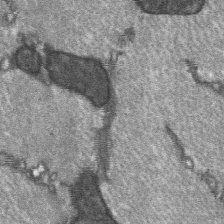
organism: C57BL Mouse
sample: Soleus